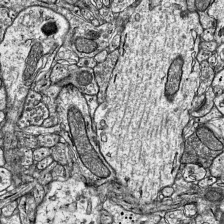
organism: Mouse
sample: Visual Cortex